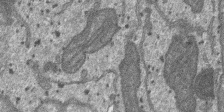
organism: Human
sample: Lung epithelial cells infected with SARS-CoV-2